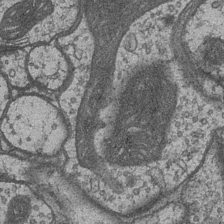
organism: Drosophila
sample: Optic medulla